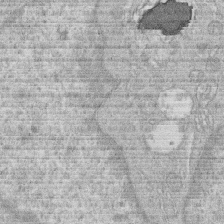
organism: Human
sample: Macrophage cells